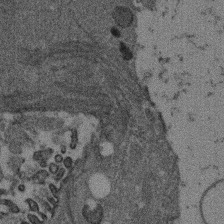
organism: Mouse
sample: Dividing mouse embryo 1 cell stage